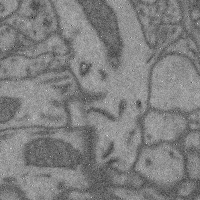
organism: Mouse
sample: Cerebral cortex